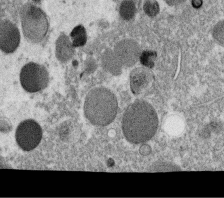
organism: C. elegans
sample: C. elegans oocyte; sperm cells